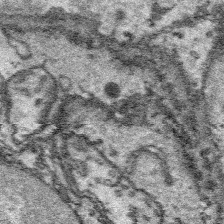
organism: Platynereis dumerilii